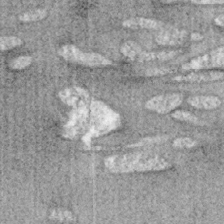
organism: Mouse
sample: OT-I killer T cells with ID8 ovarian cancer cells